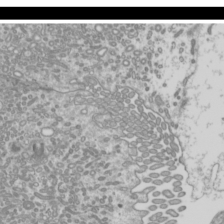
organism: Mouse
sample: Cilia; mouse epididymis